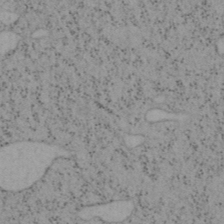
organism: Mouse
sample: OT-I killer T cells with ID8 ovarian cancer cells